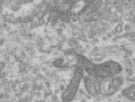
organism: Human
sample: Centriole in RPE cells